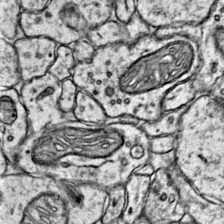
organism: Mouse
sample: Primary visual cortex